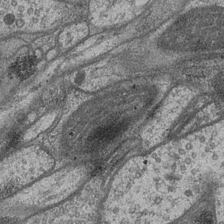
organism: Drosophila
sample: Optic medulla